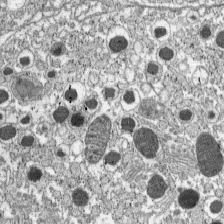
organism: C57BL Mouse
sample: Pancreatic islet